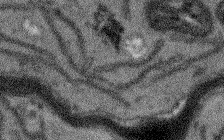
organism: Arabidopsis thaliana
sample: Root tip